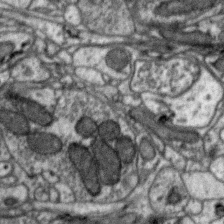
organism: Zebra finch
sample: Brain